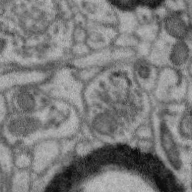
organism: Zebra finch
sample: Brain